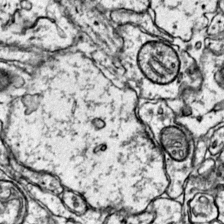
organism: Mouse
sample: Primary visual cortex